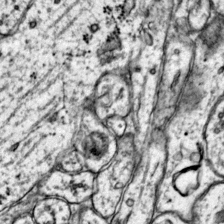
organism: Mouse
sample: Primary visual cortex